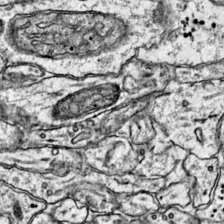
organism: Mouse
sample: Primary visual cortex